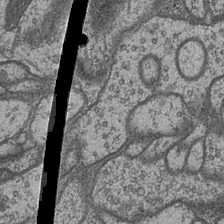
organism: Drosophila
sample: Optic medulla